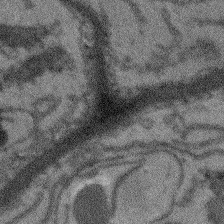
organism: Arabidopsis thaliana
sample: Root tip